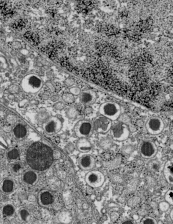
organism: C57BL Mouse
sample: Pancreatic islet